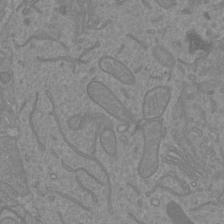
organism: Mouse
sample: Cortical neurons